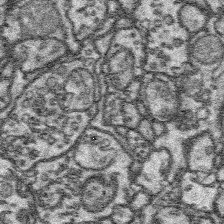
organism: Platynereis dumerilii